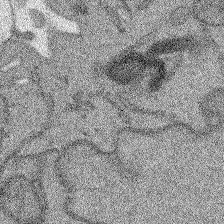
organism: Human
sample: HeLa cells